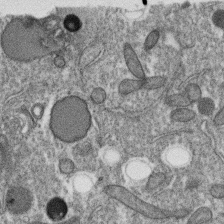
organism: C. elegans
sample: C. elegans oocyte; sperm cells